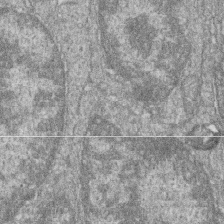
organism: Zebrafish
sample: Cilia; retinal pigment epithelium